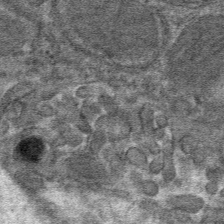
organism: Mouse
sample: Mouse hepatocytes